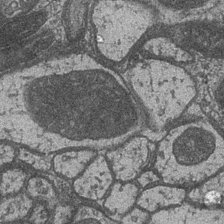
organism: Drosophila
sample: Optic medulla